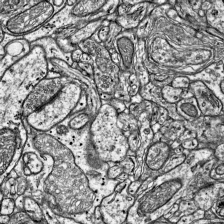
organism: Mouse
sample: Visual Cortex